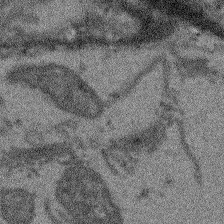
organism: Arabidopsis thaliana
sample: Root tip